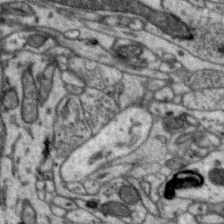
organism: Zebra finch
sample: Brain